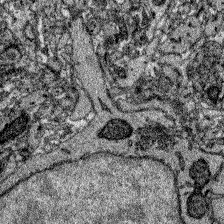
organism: Zebrafish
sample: Larval olfactory bulb